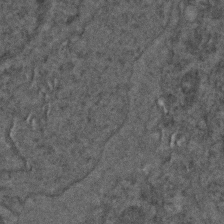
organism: C. elegans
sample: C. elegans embryo